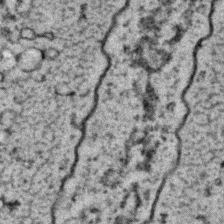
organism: C. elegans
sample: C. elegans embryo